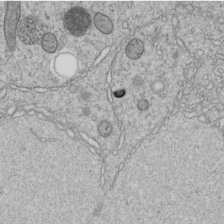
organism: C. elegans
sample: C. elegans embryo early stage